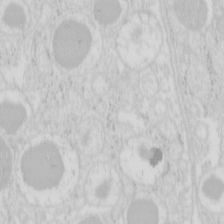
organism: Mouse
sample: Pancreas